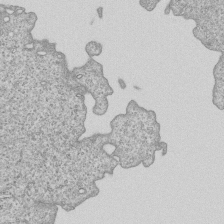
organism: Human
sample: MDA-MB-231 cells